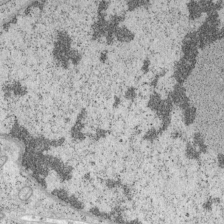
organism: Mouse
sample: OT-I killer T cells with ID8 ovarian cancer cells